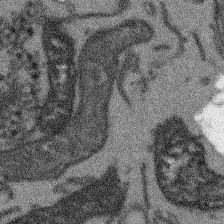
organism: Arabidopsis thaliana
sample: Root tip